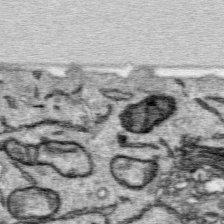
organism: Human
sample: HeLa cells